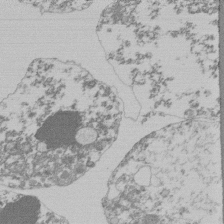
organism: Mouse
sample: Activated Pmel transgenic CD8+ T Cells